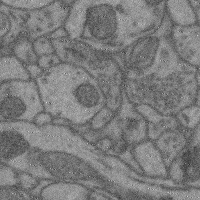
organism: Mouse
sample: Cerebral cortex